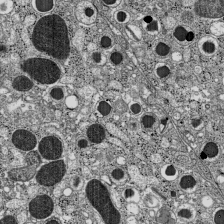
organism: C57BL Mouse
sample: Pancreatic islet